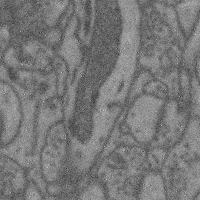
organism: Mouse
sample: Cerebral cortex